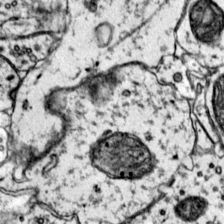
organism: Mouse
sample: Primary visual cortex